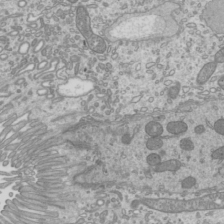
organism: Mouse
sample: Cilia; mouse epididymis